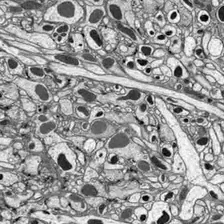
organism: Drosophila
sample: Optic lobe